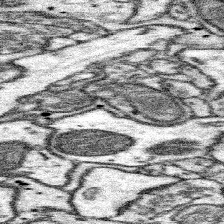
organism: Mouse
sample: Somatosensory cortex neuropil